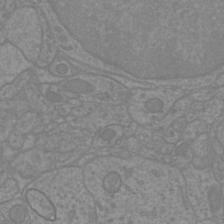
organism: Mouse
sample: Cortical neurons